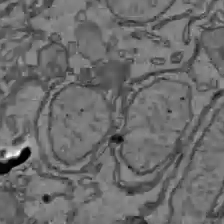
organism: C57BL Mouse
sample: Liver